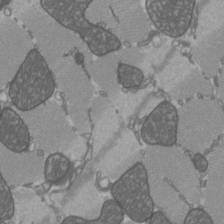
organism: C57BL Mouse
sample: Heart